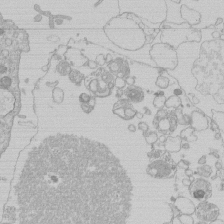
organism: Human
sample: Macrophage cells